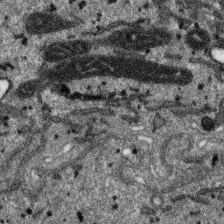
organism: Human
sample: Lung epithelial cells infected with SARS-CoV-2